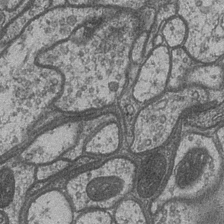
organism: Drosophila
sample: Optic medulla